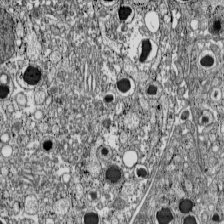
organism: C57BL Mouse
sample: Pancreatic islet